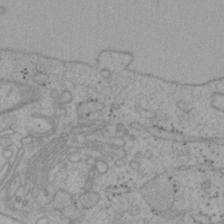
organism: Human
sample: HeLa cells